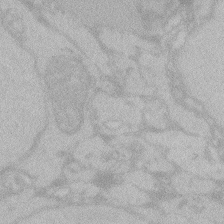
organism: Zebrafish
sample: Macrophage infected with Toxoplasma gondii